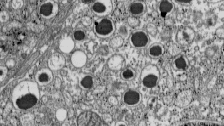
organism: C57BL Mouse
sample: Pancreatic islet